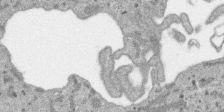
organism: Human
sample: Lung epithelial cells infected with SARS-CoV-2